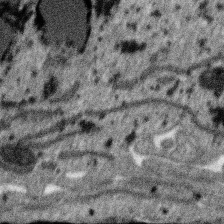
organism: Human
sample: Lung epithelial cells infected with SARS-CoV-2